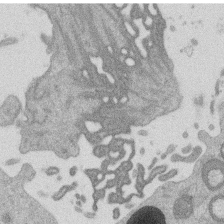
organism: Mouse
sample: Dividing mouse embryo 1 cell stage